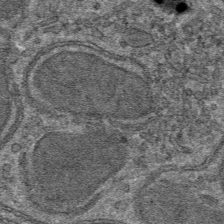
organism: Mouse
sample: Mouse hepatocytes